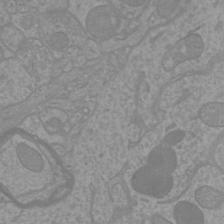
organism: Mouse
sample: Cortical neurons